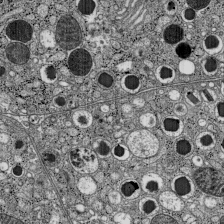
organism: C57BL Mouse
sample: Pancreatic islet